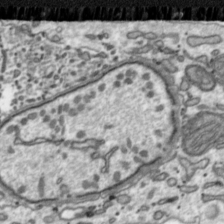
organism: Toxoplasma gondii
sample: Parasites in a vacuole inside a host cell